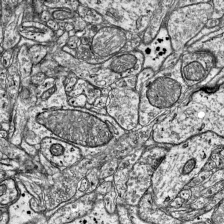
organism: Mouse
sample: Visual Cortex